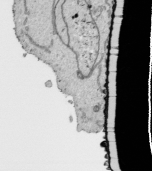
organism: Human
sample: Mitochondria in HCT116 cells